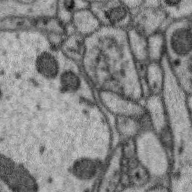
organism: Zebra finch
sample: Brain